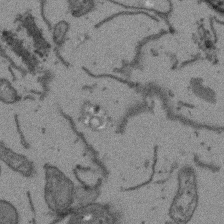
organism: Arabidopsis thaliana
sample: Root tip